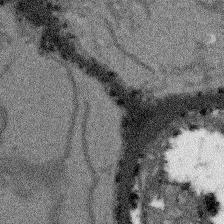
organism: Arabidopsis thaliana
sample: Root tip